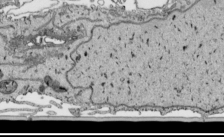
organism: Human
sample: Mitochondria in HCT116 cells